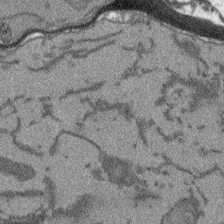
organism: Arabidopsis thaliana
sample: Root tip